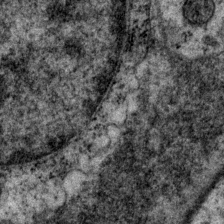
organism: P. pacificus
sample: Pharynx